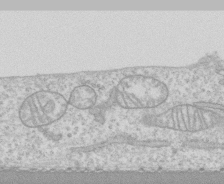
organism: Human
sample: CRL-1474